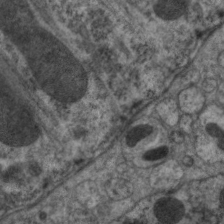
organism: C. elegans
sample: Pharynx